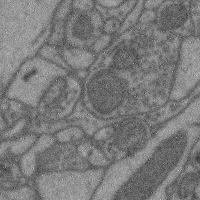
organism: Mouse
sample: Cerebral cortex